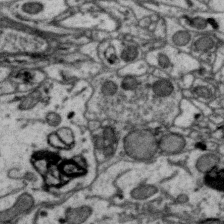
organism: Zebra finch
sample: Brain